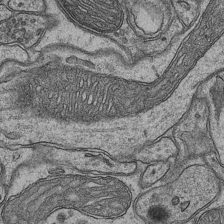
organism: Mouse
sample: CA1 Hippocampus